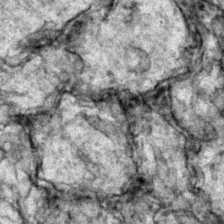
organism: Zebrafish